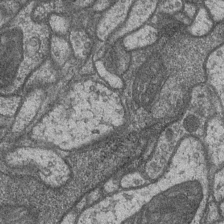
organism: Drosophila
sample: Optic medulla